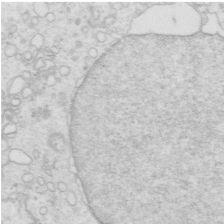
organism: Mouse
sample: Multiciliated cells